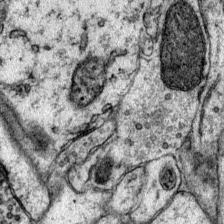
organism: Mouse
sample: Primary visual cortex